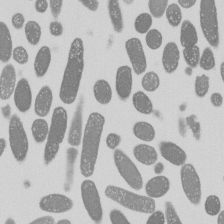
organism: E. coli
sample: Bacterial nucleoid